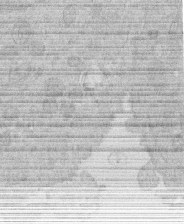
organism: Human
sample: Macrophage cells